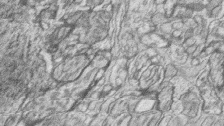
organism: Zebrafish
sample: synaptic ribbons in rod cells and cone cells